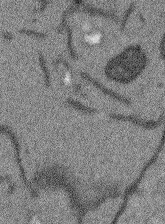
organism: Arabidopsis thaliana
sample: Root tip